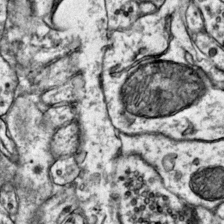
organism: Mouse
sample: Primary visual cortex